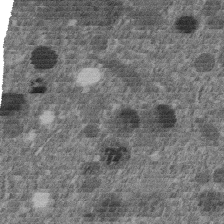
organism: C. elegans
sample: C. elegans embryo early stage